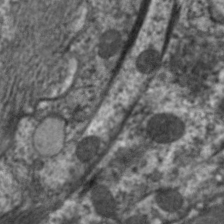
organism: C. elegans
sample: Pharynx